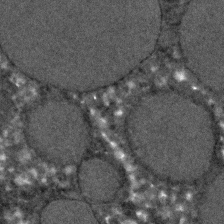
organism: C. elegans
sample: C. elegans embryo